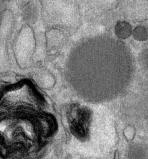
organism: Mouse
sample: Mouse Salivary gland